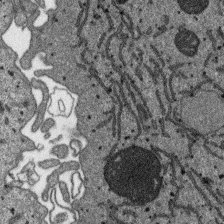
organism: Human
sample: Lung epithelial cells infected with SARS-CoV-2